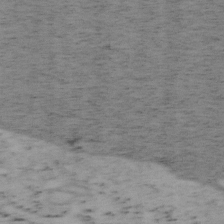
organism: Mouse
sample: OT-I killer T cells with ID8 ovarian cancer cells